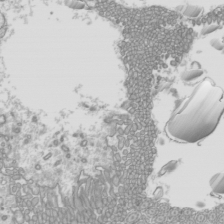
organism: Mouse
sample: Cilia; mouse epididymis